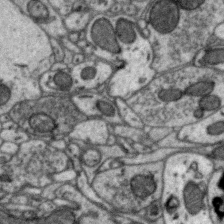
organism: Zebra finch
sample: Brain